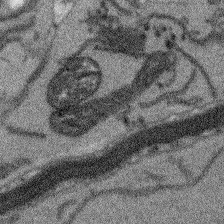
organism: Arabidopsis thaliana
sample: Root tip